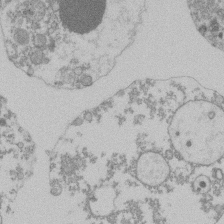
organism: Mouse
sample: Activated Pmel transgenic CD8+ T Cells